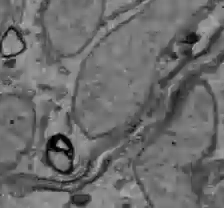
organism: C57BL Mouse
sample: Liver